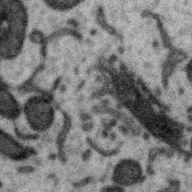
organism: Zebra finch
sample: Brain